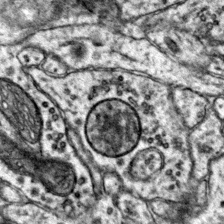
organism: Mouse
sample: Primary visual cortex